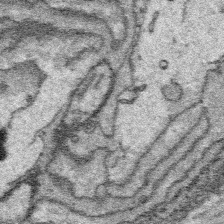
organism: Platynereis dumerilii